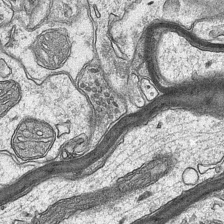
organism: Mouse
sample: CA1 Hippocampus